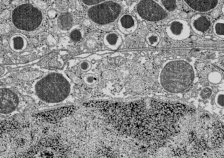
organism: C57BL Mouse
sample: Pancreatic islet